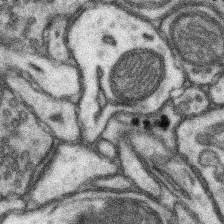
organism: Mouse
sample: Somatosensory cortex neuropil